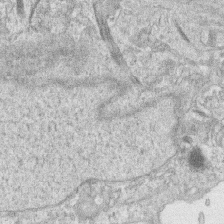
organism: Human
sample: HeLa cell HIV synapse